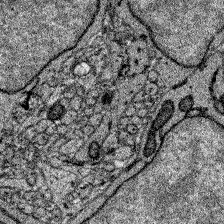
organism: Zebrafish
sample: Larval olfactory bulb